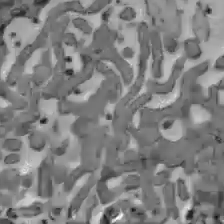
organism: C57BL Mouse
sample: Liver